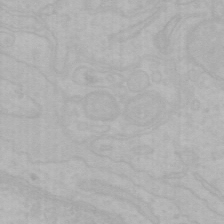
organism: Mouse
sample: Choroid plexus